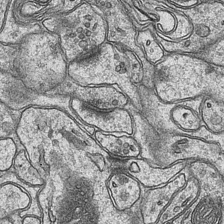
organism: Mouse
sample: CA1 Hippocampus